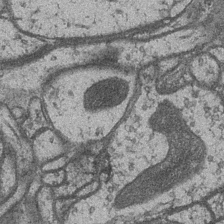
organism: Drosophila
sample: Optic medulla